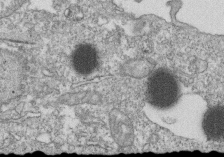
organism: Human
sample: HeLa cell HIV synapse